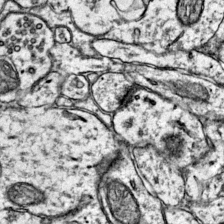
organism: Mouse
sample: Primary visual cortex